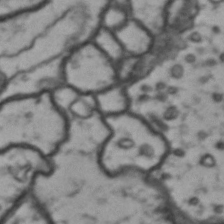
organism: Drosophila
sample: Brain